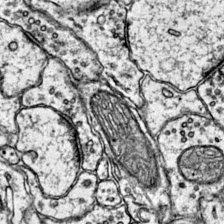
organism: Mouse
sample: Primary visual cortex